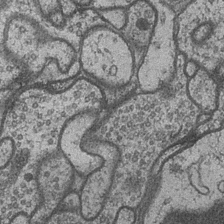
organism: Drosophila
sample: Optic medulla